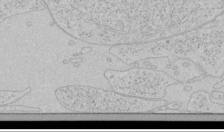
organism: Human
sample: Mitochondria in HCT116 cells